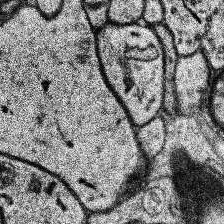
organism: Human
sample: Temporal Lobe